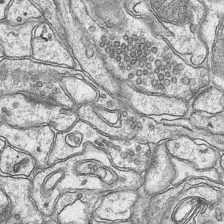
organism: Mouse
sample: CA1 Hippocampus